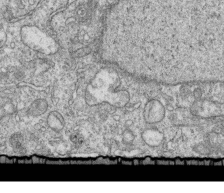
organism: Human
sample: HeLa cell HIV synapse